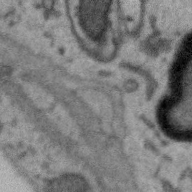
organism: Zebra finch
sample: Brain